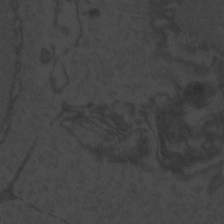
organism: Zebrafish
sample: Macrophage infected with Toxoplasma gondii